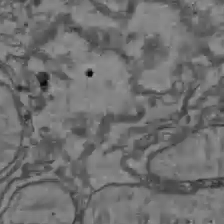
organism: C57BL Mouse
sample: Liver